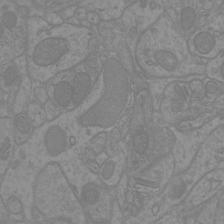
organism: Mouse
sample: Cortical neurons